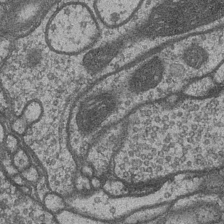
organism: Drosophila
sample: Optic medulla